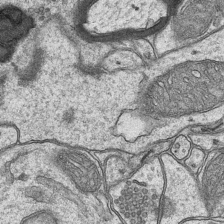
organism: Mouse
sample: CA1 Hippocampus